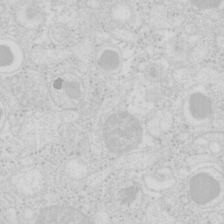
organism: Mouse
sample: Pancreas